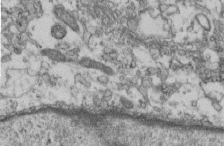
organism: Mouse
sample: Cilia; retinal pigment epithelium